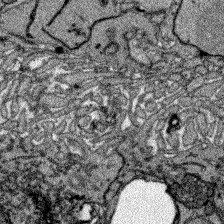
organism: Zebrafish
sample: Larval olfactory bulb